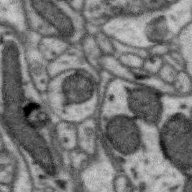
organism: Zebra finch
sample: Brain